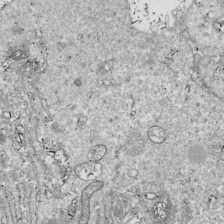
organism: Drosophila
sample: Cell division; meiosis; drosophila spermatocytes